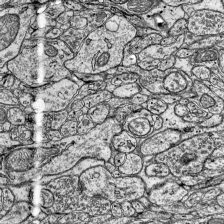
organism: Mouse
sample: Visual Cortex